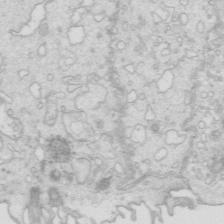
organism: Mouse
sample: Multiciliated cells